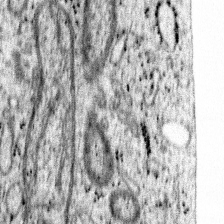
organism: Human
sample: HeLa cells